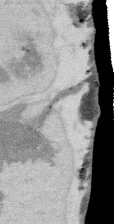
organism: Mouse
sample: T cell stromal cell synapse